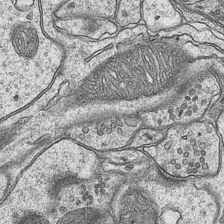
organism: Mouse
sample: CA1 Hippocampus